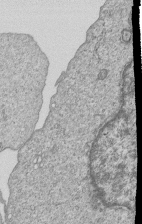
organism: Human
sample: MDA-MB-231 cells